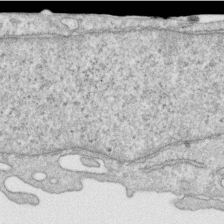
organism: Human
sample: Centriole in RPE cells